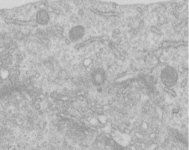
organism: Human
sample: Centriole in RPE cells